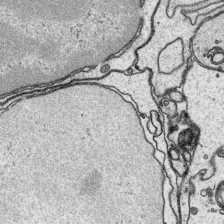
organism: Platynereis dumerilii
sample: Parapodia